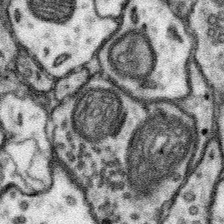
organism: Mouse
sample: Somatosensory cortex neuropil